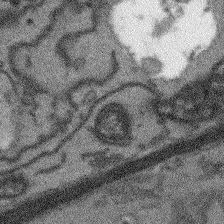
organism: Arabidopsis thaliana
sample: Root tip